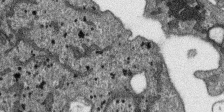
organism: Human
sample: Lung epithelial cells infected with SARS-CoV-2